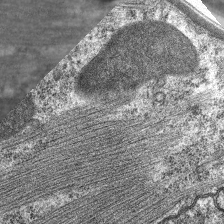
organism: C. elegans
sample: Pharynx